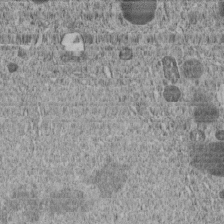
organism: C. elegans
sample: C. elegans embryo early stage